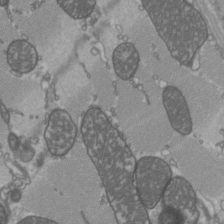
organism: C57BL Mouse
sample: Heart